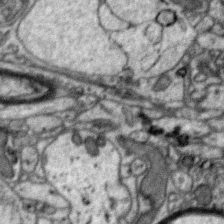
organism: Zebra finch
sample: Brain